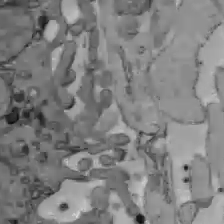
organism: C57BL Mouse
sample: Liver